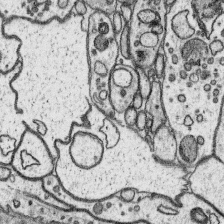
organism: Platynereis dumerilii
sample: Parapodia